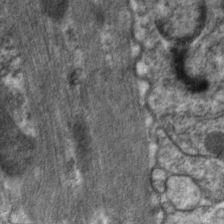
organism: C. elegans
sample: Pharynx